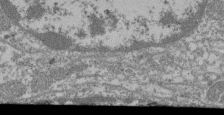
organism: Mouse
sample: Glomerulus